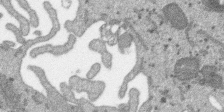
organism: Human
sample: Lung epithelial cells infected with SARS-CoV-2